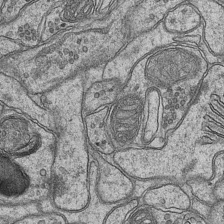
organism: Mouse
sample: CA1 Hippocampus